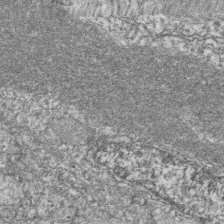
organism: Zebrafish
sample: Cilia; retinal pigment epithelium